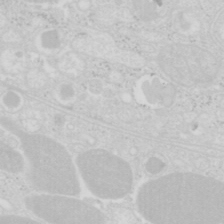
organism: Mouse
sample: Pancreas